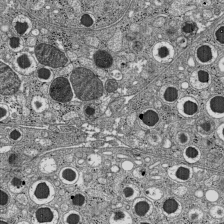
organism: C57BL Mouse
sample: Pancreatic islet